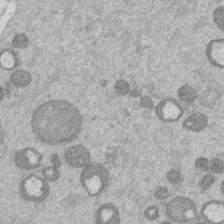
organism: Mouse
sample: Dividing mouse embryo 1 cell stage